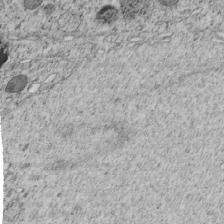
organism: C. elegans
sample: C. elegans embryo early stage